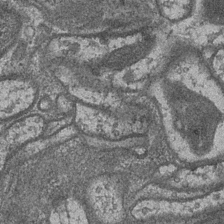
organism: Drosophila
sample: Optic medulla